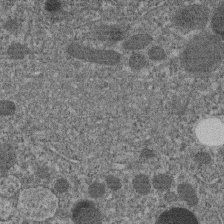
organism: C. elegans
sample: C. elegans embryo early stage